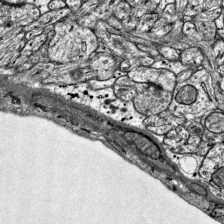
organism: Mouse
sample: Visual Cortex